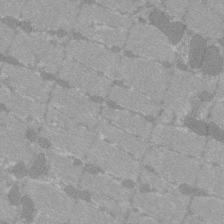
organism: C57BL Mouse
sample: Tibialis anterior muscle cell